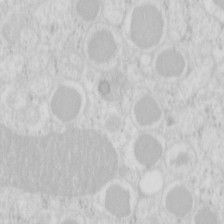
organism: Mouse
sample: Pancreas